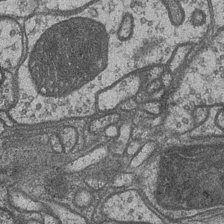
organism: Drosophila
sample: Optic medulla